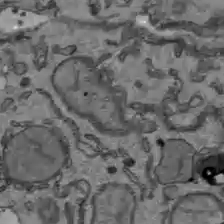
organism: C57BL Mouse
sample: Liver